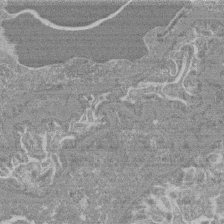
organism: Mouse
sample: Glomerulus